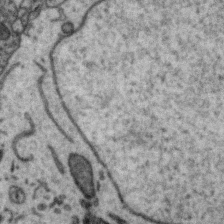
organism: Zebra finch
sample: Brain